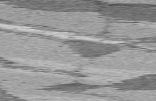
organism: C57BL Mouse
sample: Heart